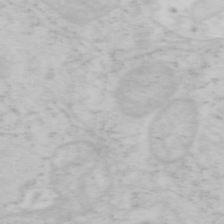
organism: Mouse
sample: OT-I killer T cells with ID8 ovarian cancer cells